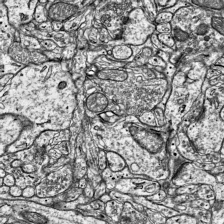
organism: Mouse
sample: Visual Cortex